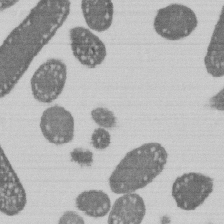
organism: E. coli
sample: Bacterial nucleoid